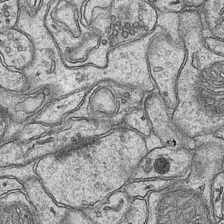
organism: Mouse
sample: CA1 Hippocampus